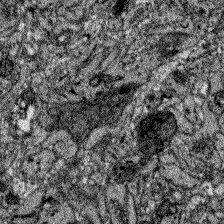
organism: Zebrafish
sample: Larval olfactory bulb